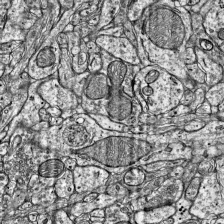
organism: Mouse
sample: Visual Cortex